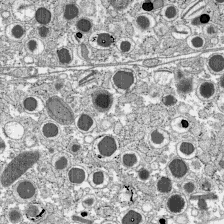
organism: C57BL Mouse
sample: Pancreatic islet